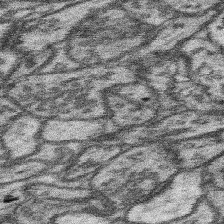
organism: Mouse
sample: Somatosensory cortex neuropil